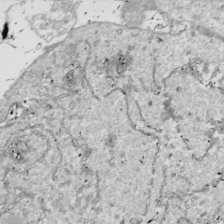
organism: Drosophila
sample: Cell division; meiosis; drosophila spermatocytes